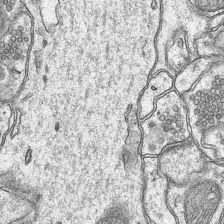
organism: Mouse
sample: CA1 Hippocampus